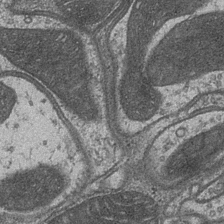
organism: Drosophila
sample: Optic medulla